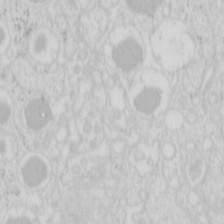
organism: Mouse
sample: Pancreas